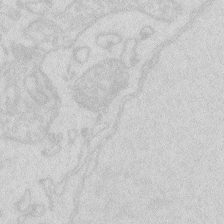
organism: Zebrafish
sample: Macrophage